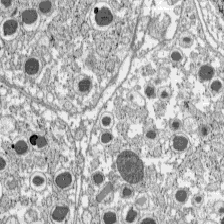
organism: C57BL Mouse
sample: Pancreatic islet